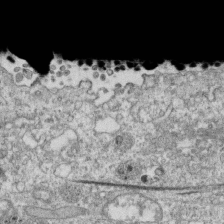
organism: Human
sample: HeLa cell HIV synapse